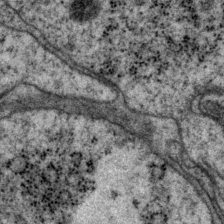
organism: P. pacificus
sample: Pharynx